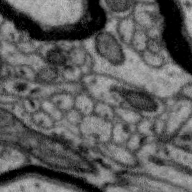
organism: Zebra finch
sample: Brain